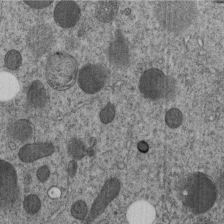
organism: C. elegans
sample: C. elegans embryo early stage